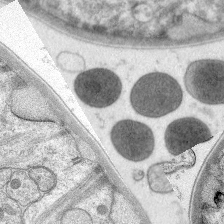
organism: C. elegans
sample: Pharynx